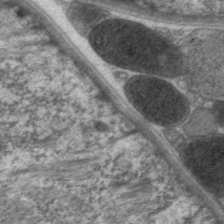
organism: C. elegans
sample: Pharynx